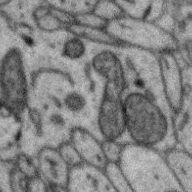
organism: Zebra finch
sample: Brain